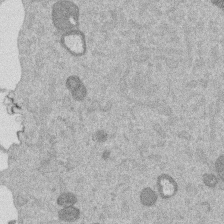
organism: Mouse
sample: Dividing mouse embryo 1 cell stage